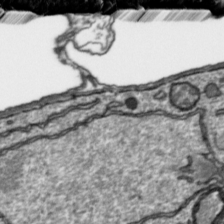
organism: Toxoplasma gondii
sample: Parasites in a vacuole inside a host cell